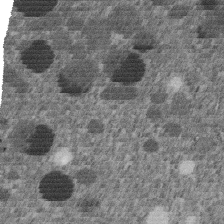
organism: C. elegans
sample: C. elegans embryo early stage